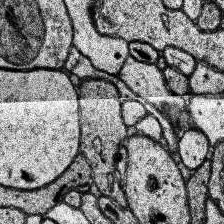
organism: Human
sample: Temporal Lobe